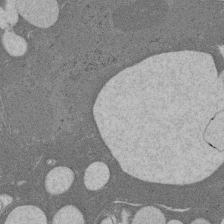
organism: Rat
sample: Salivary granule